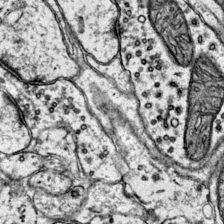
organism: Mouse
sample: Primary visual cortex